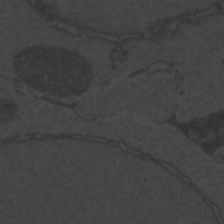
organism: Zebrafish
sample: Macrophage infected with Toxoplasma gondii